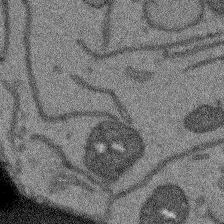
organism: Arabidopsis thaliana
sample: Root tip